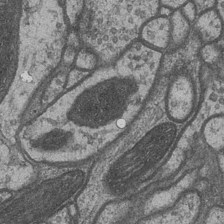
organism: Drosophila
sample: Optic medulla